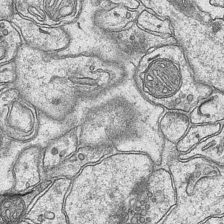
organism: Mouse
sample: CA1 Hippocampus